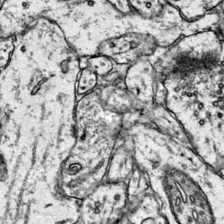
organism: Mouse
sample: Primary visual cortex